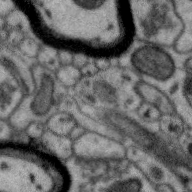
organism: Zebra finch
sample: Brain